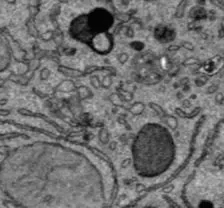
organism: C57BL Mouse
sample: Liver